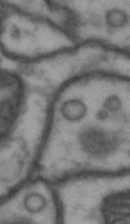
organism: Drosophila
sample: Brain